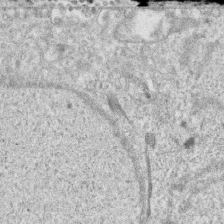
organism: Human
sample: HeLa cell HIV synapse